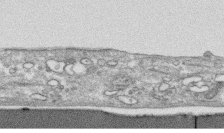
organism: Human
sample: CRL-1474